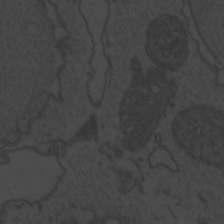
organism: Zebrafish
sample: Macrophage infected with Toxoplasma gondii